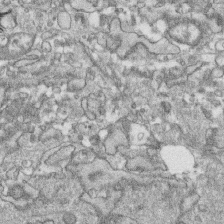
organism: Human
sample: CRL-1474